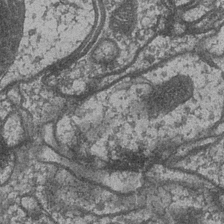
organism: Drosophila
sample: Optic medulla